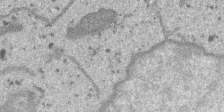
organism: Human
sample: Lung epithelial cells infected with SARS-CoV-2